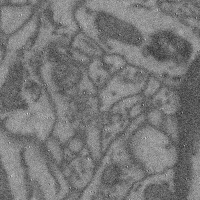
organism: Mouse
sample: Cerebral cortex